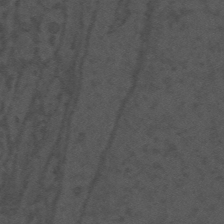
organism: Mouse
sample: Suprachiasmatic nucleus